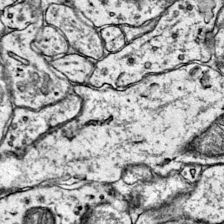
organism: Mouse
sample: Primary visual cortex